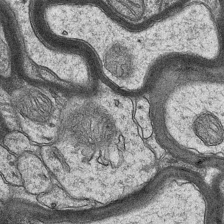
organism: Mouse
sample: CA1 Hippocampus